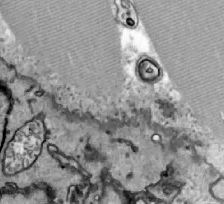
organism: Zebrafish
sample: Actinotrichia fibers